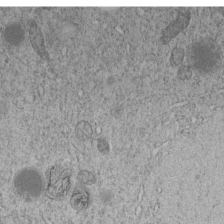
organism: C. elegans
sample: C. elegans embryo early stage